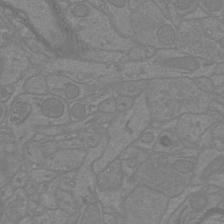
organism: Mouse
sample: Cortical neurons